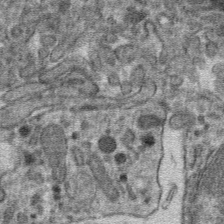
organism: Mouse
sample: Mouse hepatocytes